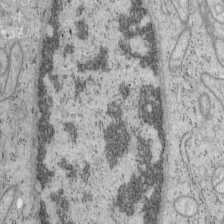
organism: Mouse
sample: OT-I killer T cells with ID8 ovarian cancer cells